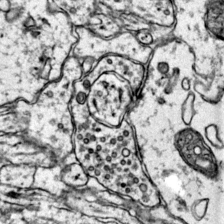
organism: Mouse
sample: Primary visual cortex